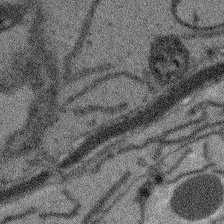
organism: Arabidopsis thaliana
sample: Root tip